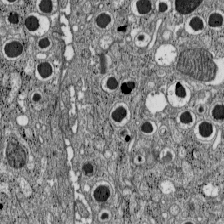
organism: C57BL Mouse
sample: Pancreatic islet